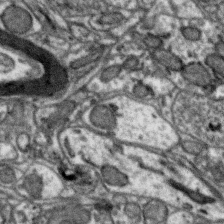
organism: Zebra finch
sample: Brain